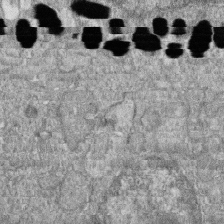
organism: Zebrafish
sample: Cilia; retinal pigment epithelium